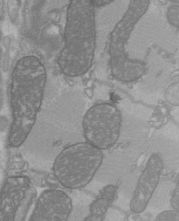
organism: C57BL Mouse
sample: Heart